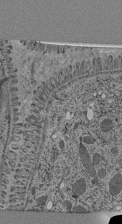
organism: C. elegans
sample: C. elegans pharynx